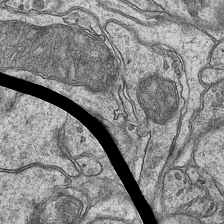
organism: Mouse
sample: CA1 Hippocampus